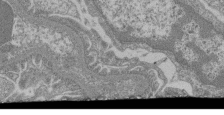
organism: Mouse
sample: Glomerulus